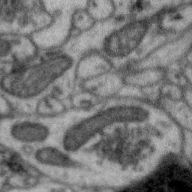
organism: Zebra finch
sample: Brain